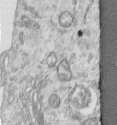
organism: Human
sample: Centriole in RPE cells